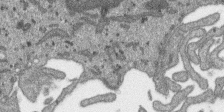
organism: Human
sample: Lung epithelial cells infected with SARS-CoV-2